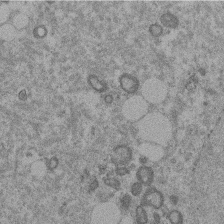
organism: Mouse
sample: Dividing mouse embryo 1 cell stage